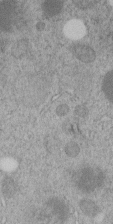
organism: C. elegans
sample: C. elegans embryo early stage